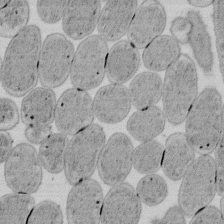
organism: E. coli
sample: Bacterial nucleoid